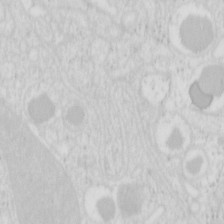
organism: Mouse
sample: Pancreas